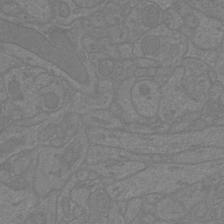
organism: Mouse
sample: Cortical neurons